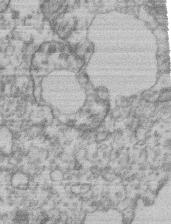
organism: Mouse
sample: T cell stromal cell synapse